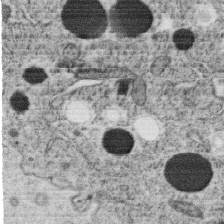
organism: C. elegans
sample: C. elegans oocyte; sperm cells